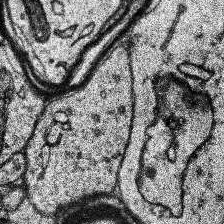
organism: Human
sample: Temporal Lobe